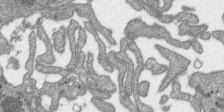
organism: Human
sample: Lung epithelial cells infected with SARS-CoV-2